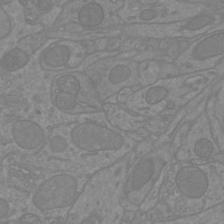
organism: Mouse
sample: Cortical neurons